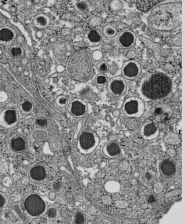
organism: C57BL Mouse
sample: Pancreatic islet